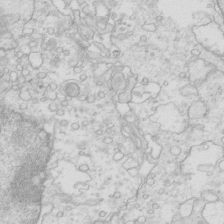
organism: Mouse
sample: Multiciliated cells